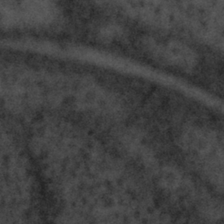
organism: Tuwongella immobilis